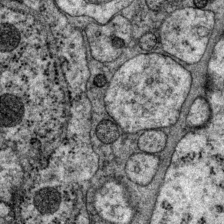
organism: P. pacificus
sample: Pharynx